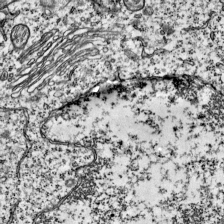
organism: Mouse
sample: Visual Cortex